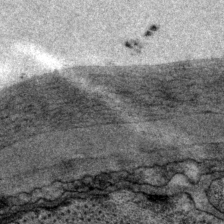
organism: P. pacificus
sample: Pharynx